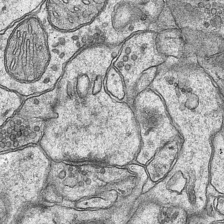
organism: Mouse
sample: CA1 Hippocampus